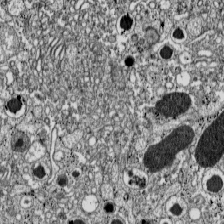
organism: C57BL Mouse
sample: Pancreatic islet